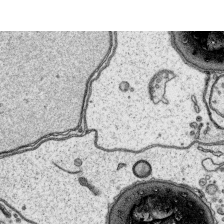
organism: Platynereis dumerilii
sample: Parapodia